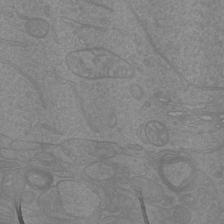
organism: Mouse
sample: Cortical neurons